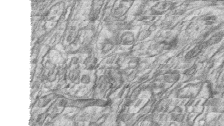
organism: Zebrafish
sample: synaptic ribbons in rod cells and cone cells